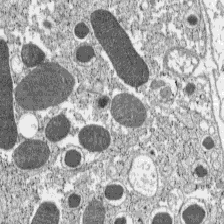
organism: C57BL Mouse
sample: Pancreatic islet